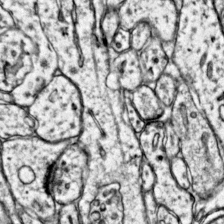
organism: Mouse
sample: Primary visual cortex